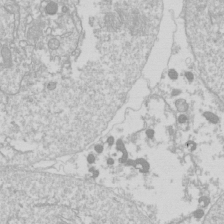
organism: Drosophila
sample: Cell division; meiosis; drosophila spermatocytes